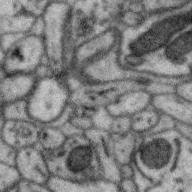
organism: Zebra finch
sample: Brain